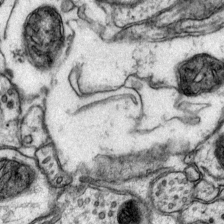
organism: Mouse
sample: Primary visual cortex